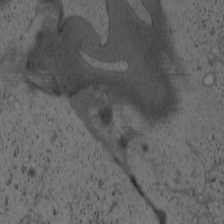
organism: African green monkey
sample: COS-7 cells